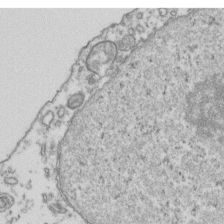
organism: Human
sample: Activated Jurkat CD4+ T cells